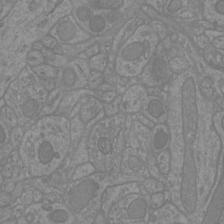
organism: Mouse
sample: Cortical neurons